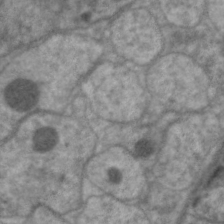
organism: C. elegans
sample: Pharynx